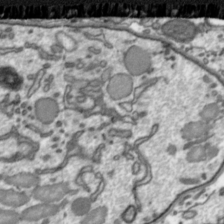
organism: Toxoplasma gondii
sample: Parasites in a vacuole inside a host cell